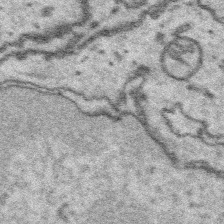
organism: Platynereis dumerilii